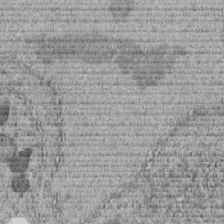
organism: C. elegans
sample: C. elegans embryo early stage